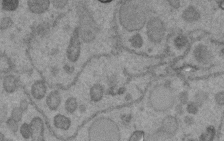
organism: C. elegans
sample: C. elegans embryo early stage